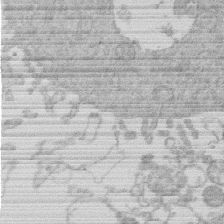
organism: Human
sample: Macrophage cells